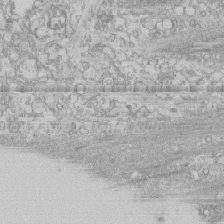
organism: Human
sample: CRL-1474